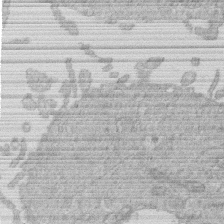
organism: Human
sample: Macrophage cells